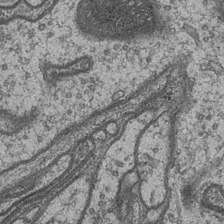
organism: Drosophila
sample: Optic medulla